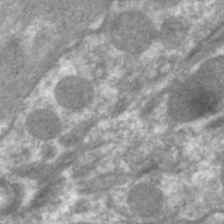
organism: C. elegans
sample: Pharynx